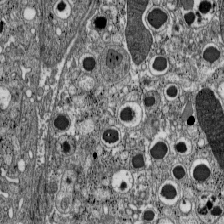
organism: C57BL Mouse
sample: Pancreatic islet